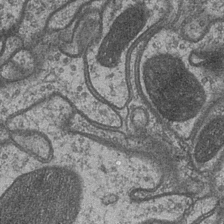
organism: Drosophila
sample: Optic medulla